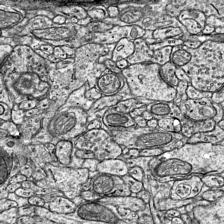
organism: Mouse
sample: Visual Cortex